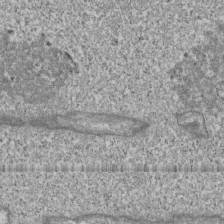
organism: Human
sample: Fibroblast cells